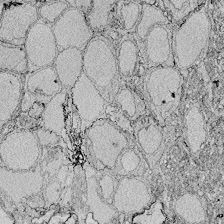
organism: Zebrafish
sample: Whole-Brain